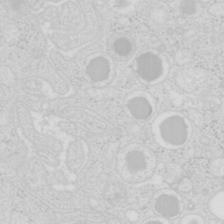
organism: Mouse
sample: Pancreas